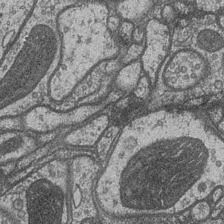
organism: Drosophila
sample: Optic medulla